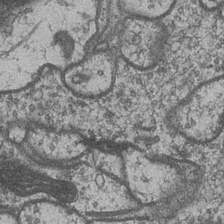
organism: Drosophila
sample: Optic medulla